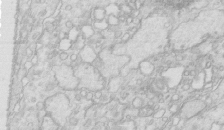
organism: Mouse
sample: Multiciliated cells